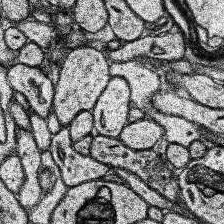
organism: Human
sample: Temporal Lobe